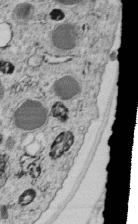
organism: C. elegans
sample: C. elegans embryo early stage